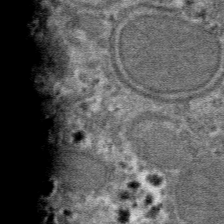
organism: Mouse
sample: Mouse hepatocytes